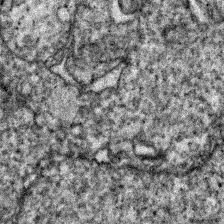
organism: Zebrafish